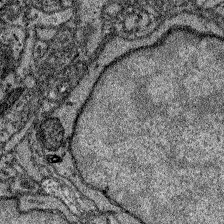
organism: Zebrafish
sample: Larval olfactory bulb